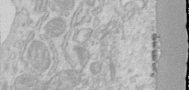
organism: Human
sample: Centriole in RPE cells